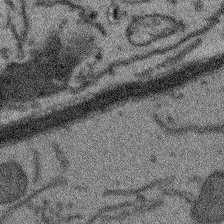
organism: Arabidopsis thaliana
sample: Root tip